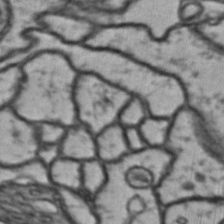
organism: Drosophila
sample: Brain